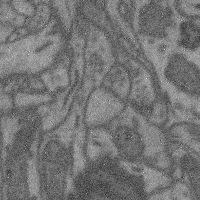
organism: Mouse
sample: Cerebral cortex